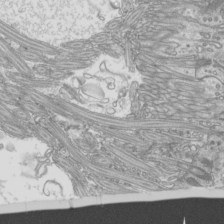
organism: Mouse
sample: Cilia; mouse epididymis